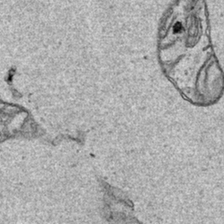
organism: Human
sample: Mitochondria in HCT116 cells